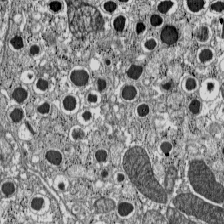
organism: C57BL Mouse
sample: Pancreatic islet